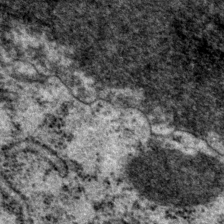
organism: P. pacificus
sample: Pharynx